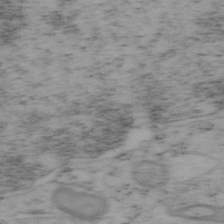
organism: Mouse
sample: OT-I killer T cells with ID8 ovarian cancer cells